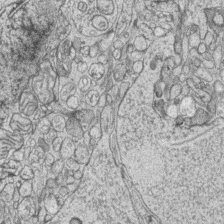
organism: Zebrafish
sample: synaptic ribbons in rod cells and cone cells